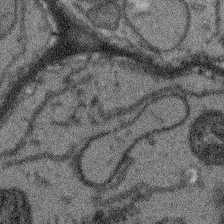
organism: Arabidopsis thaliana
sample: Root tip